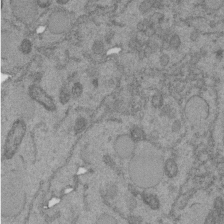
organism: C. elegans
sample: C. elegans embryo early stage